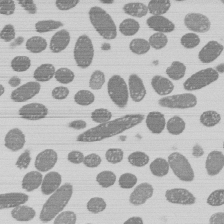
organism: E. coli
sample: Bacterial nucleoid